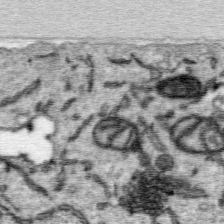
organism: Human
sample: HeLa cells